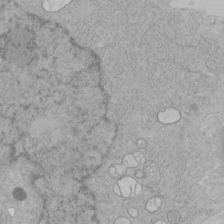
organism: Human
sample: Mitochondria in HCT116 cells